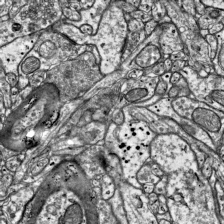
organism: Mouse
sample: Visual Cortex